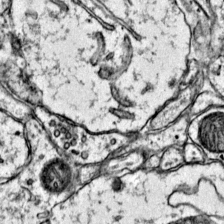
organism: Mouse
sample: Primary visual cortex